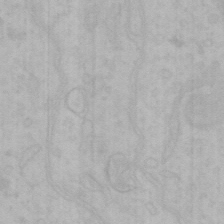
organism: Mouse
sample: Choroid plexus